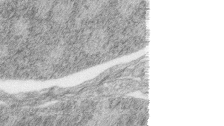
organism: Zebrafish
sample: synaptic ribbons in rod cells and cone cells